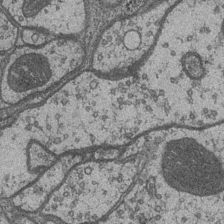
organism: Drosophila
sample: Optic medulla